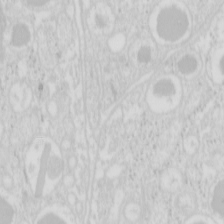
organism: Mouse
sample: Pancreas